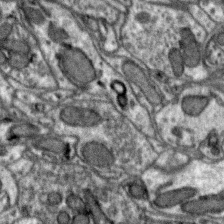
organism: Zebra finch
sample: Brain